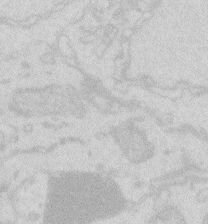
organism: Zebrafish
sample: Macrophage